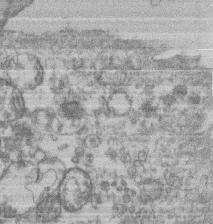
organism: Mouse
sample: T cell stromal cell synapse